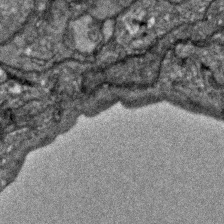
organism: Zebrafish